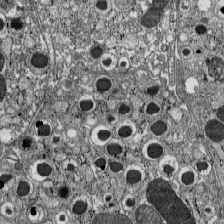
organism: C57BL Mouse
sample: Pancreatic islet